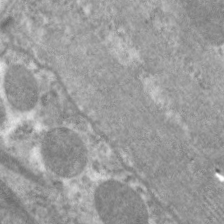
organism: C. elegans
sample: Pharynx